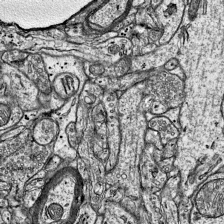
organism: Mouse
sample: Visual Cortex